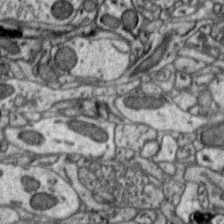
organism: Zebra finch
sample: Brain